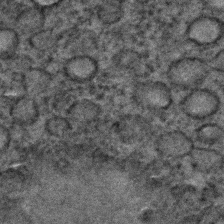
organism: C. elegans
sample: C. elegans embryo